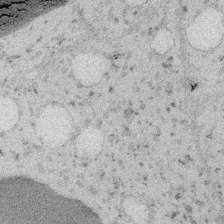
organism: Embia sp.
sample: Silk gland